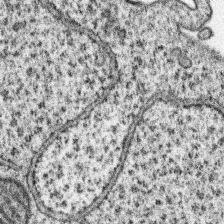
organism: Human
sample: HeLa cells